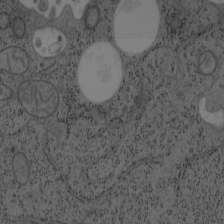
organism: Mouse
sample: OT-I killer T cells with ID8 ovarian cancer cells